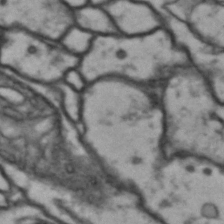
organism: Drosophila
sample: Brain